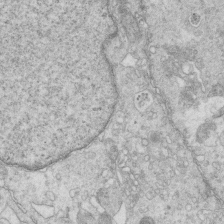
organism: Mouse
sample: Multiciliated cells